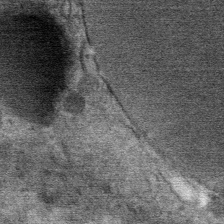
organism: Mouse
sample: Mouse Salivary gland